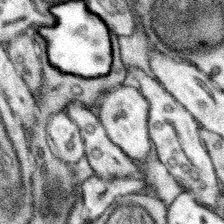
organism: Mouse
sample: Somatosensory cortex neuropil